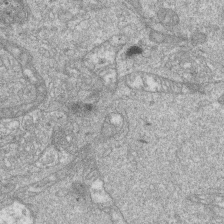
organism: Human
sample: HeLa cell HIV synapse